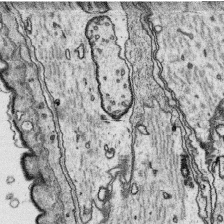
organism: Platynereis dumerilii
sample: Parapodia